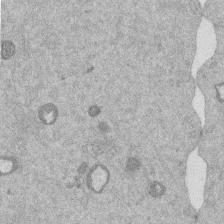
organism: Mouse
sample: Dividing mouse embryo 1 cell stage